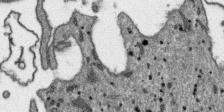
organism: Human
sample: Lung epithelial cells, uninfected (mock) control